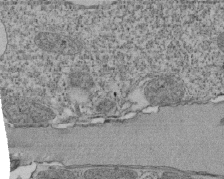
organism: Tetrahymena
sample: Cilia in tetrahymena